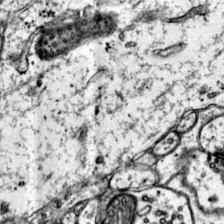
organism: Mouse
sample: Primary visual cortex